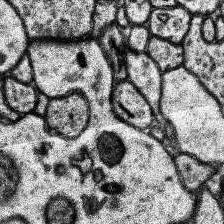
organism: Human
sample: Temporal Lobe